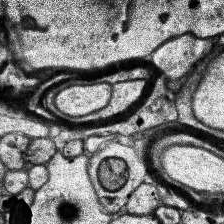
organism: Human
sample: Temporal Lobe